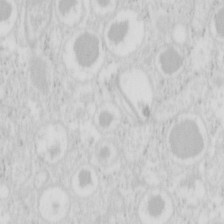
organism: Mouse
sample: Pancreas